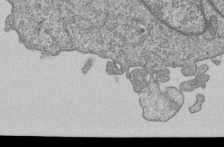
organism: Human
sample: MDA-MB-231 cells